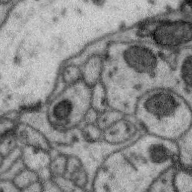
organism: Zebra finch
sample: Brain